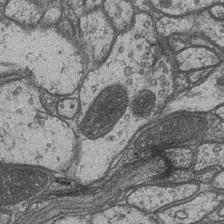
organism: Drosophila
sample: Optic medulla